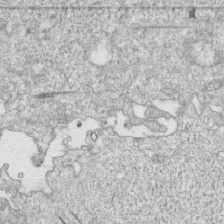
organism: Human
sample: HeLa cell HIV synapse